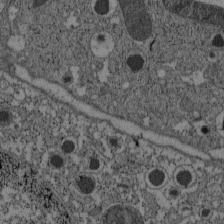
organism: C57BL Mouse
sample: Pancreatic islet